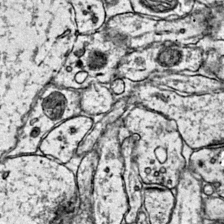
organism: Mouse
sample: Primary visual cortex